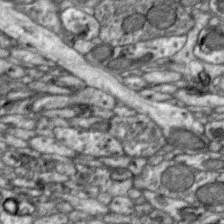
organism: Zebra finch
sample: Brain